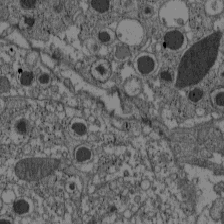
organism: C57BL Mouse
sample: Pancreatic islet